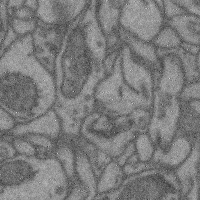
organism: Mouse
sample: Cerebral cortex